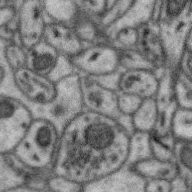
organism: Zebra finch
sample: Brain